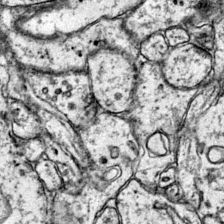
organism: Mouse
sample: Primary visual cortex